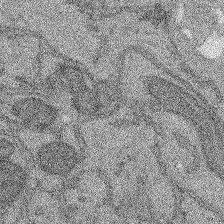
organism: Human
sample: HeLa cells